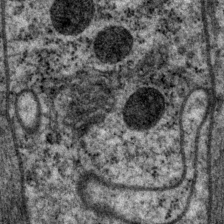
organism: P. pacificus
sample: Pharynx